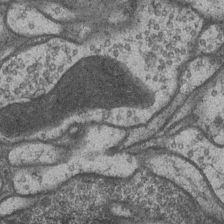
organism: Drosophila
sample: Optic medulla